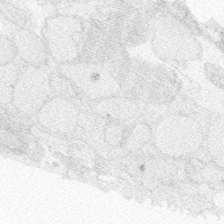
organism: Zebrafish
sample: Whole-Brain